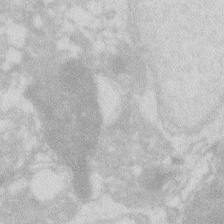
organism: Zebrafish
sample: Macrophage